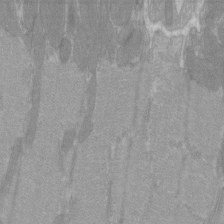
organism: C57BL Mouse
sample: Tibialis anterior muscle cell